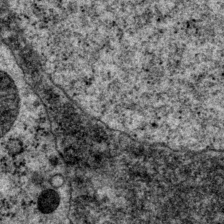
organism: P. pacificus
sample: Pharynx